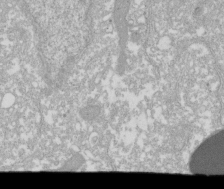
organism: Xenopus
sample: Cilia; centrioles in frog embryo cells